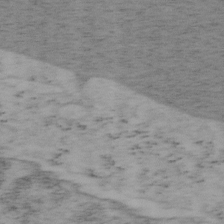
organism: Mouse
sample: OT-I killer T cells with ID8 ovarian cancer cells